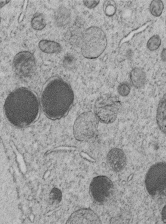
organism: C. elegans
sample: C. elegans embryo early stage